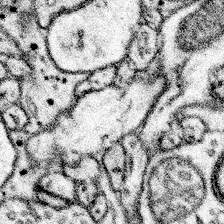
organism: Mouse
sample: Somatosensory cortex neuropil